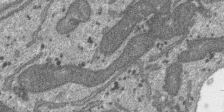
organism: Human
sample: Lung epithelial cells infected with SARS-CoV-2